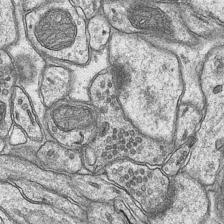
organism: Mouse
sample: CA1 Hippocampus